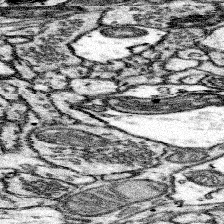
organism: Mouse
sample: Somatosensory cortex neuropil